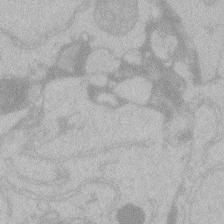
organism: Zebrafish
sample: Macrophage infected with Toxoplasma gondii